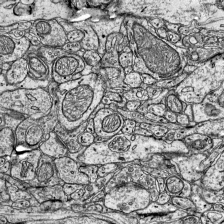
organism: Mouse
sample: Visual Cortex